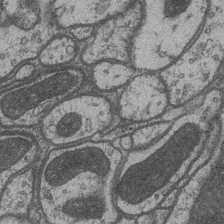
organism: Drosophila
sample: Optic medulla